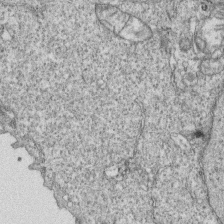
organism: Human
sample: HeLa cell HIV synapse